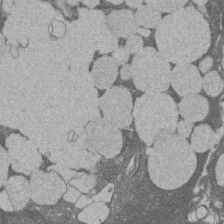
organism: Rat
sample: Salivary granule